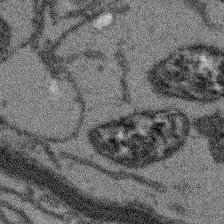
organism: Arabidopsis thaliana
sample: Root tip